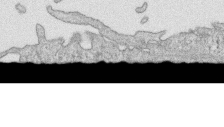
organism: Human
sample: HeLa cell HIV synapse